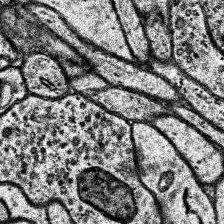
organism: Human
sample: Temporal Lobe